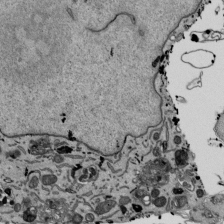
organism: Mouse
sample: ED-1 cell nuclei; centrioles